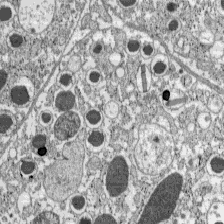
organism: C57BL Mouse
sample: Pancreatic islet